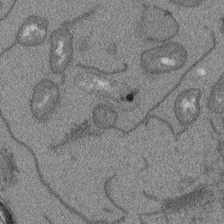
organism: Arabidopsis thaliana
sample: Root tip